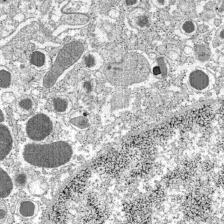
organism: C57BL Mouse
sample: Pancreatic islet